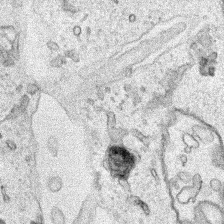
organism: Human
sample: Mitochondria in HCT116 cells